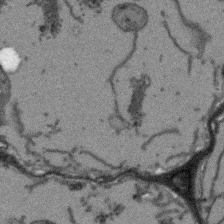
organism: Arabidopsis thaliana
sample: Root tip